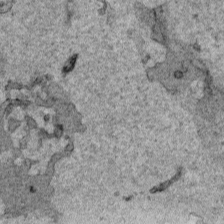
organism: Human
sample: Mitochondria in HCT116 cells